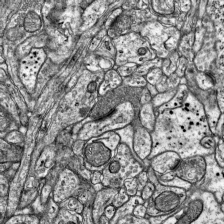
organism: Mouse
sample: Visual Cortex